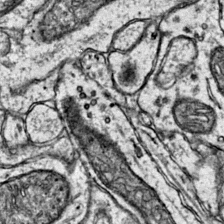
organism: Mouse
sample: Primary visual cortex